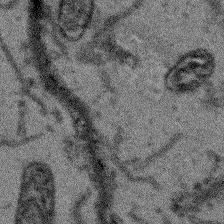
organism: Arabidopsis thaliana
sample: Root tip